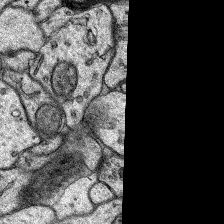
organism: Rat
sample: Hippocampus